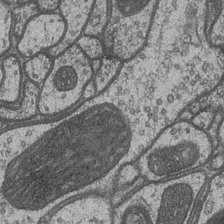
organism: Drosophila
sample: Optic medulla